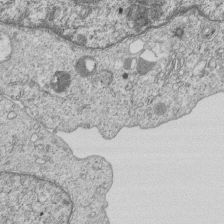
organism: Human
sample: MDA-MB-231 cells